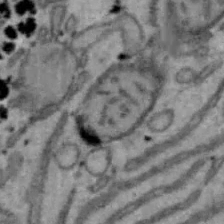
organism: Mouse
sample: Liver